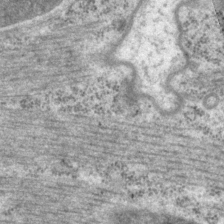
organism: P. pacificus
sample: Pharynx